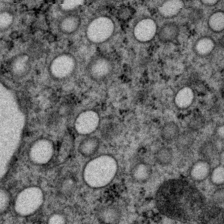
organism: P. pacificus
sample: Pharynx